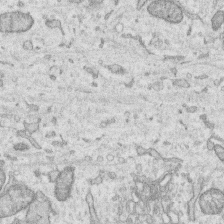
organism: Human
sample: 1205lu cells